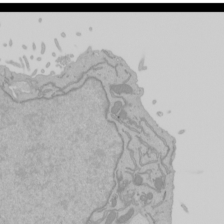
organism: Mouse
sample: Cancer cell death in ED-1 cells